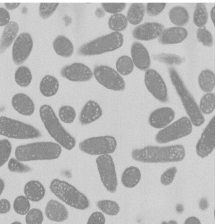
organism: E. coli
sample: Bacterial nucleoid